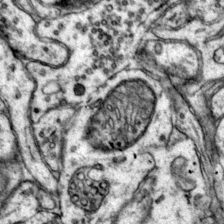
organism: Mouse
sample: Primary visual cortex